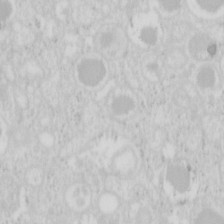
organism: Mouse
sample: Pancreas